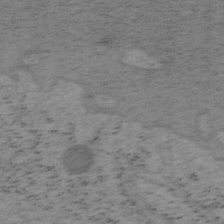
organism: Mouse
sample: OT-I killer T cells with ID8 ovarian cancer cells